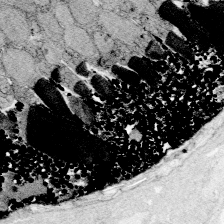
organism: Zebrafish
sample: Whole-Brain